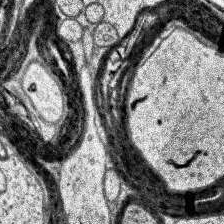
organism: Human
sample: Temporal Lobe